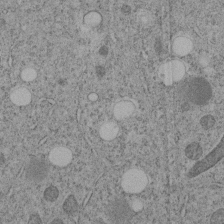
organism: C. elegans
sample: C. elegans embryo early stage